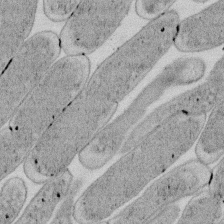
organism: E. coli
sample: Bacterial nucleoid